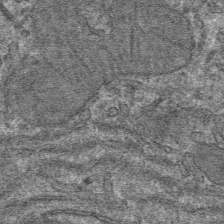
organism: Mouse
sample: Mouse hepatocytes